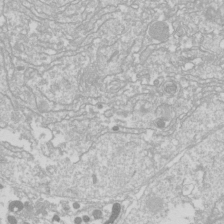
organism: Drosophila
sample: Cell division; meiosis; drosophila spermatocytes